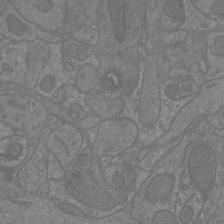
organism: Mouse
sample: Cortical neurons